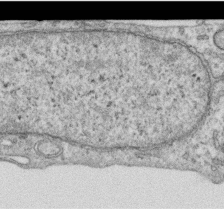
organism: Human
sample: Centriole in RPE cells